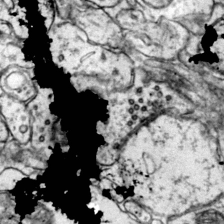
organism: Mouse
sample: Primary visual cortex